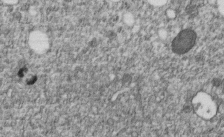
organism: C. elegans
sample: C. elegans embryo early stage